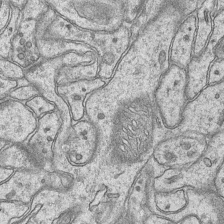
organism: Mouse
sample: CA1 Hippocampus